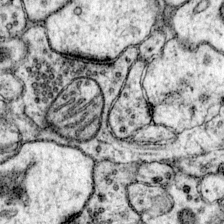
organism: Mouse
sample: Primary visual cortex